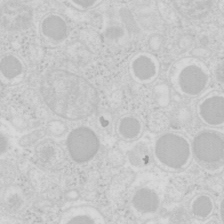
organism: Mouse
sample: Pancreas